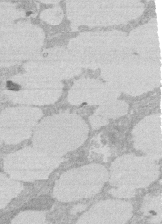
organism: Rat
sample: Salivary granule